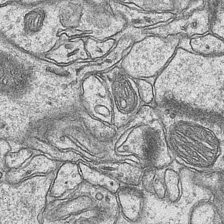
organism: Mouse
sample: CA1 Hippocampus